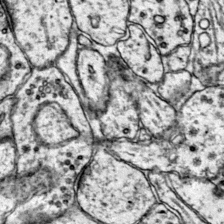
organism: Mouse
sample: Primary visual cortex